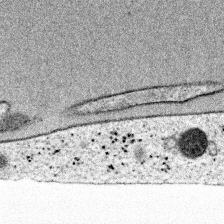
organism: Human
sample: HeLa cells